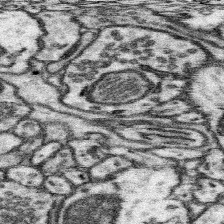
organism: Mouse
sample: Somatosensory cortex neuropil